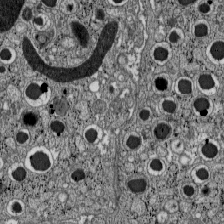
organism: C57BL Mouse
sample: Pancreatic islet